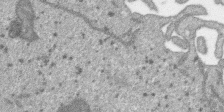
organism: Human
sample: Lung epithelial cells infected with SARS-CoV-2